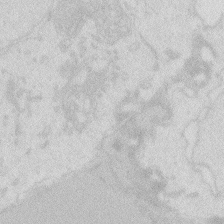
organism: Zebrafish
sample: Macrophage